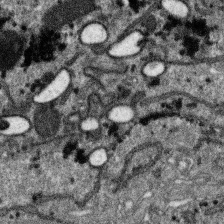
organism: Human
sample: Lung epithelial cells infected with SARS-CoV-2